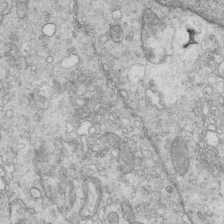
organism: Mouse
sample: Multiciliated cells